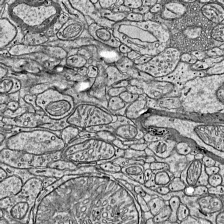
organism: Mouse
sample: Visual Cortex